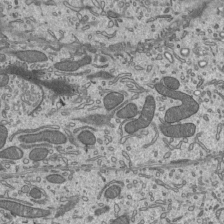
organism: Mouse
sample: Mouse epididymis efferent ductule cilia